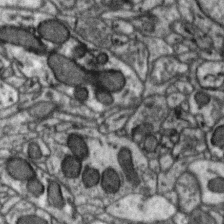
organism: Zebra finch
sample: Brain